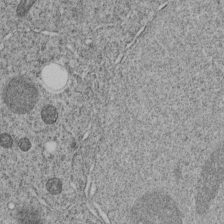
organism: C. elegans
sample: C. elegans embryo early stage